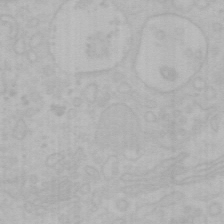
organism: Mouse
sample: Choroid plexus